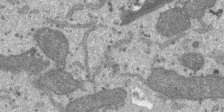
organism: Human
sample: Lung epithelial cells infected with SARS-CoV-2